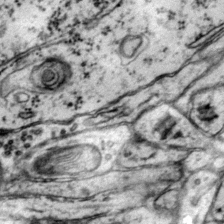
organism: Mouse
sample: Primary visual cortex